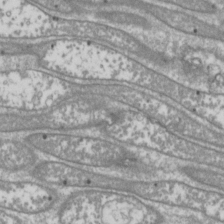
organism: Drosophila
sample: Cell division; meiosis; drosophila spermatocytes